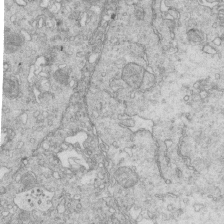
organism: Mouse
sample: Multiciliated cells